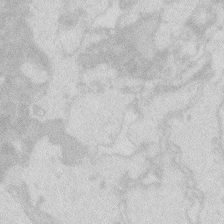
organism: Zebrafish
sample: Macrophage